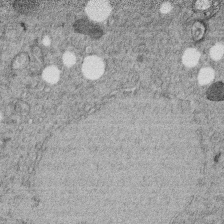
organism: C. elegans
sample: C. elegans embryo early stage